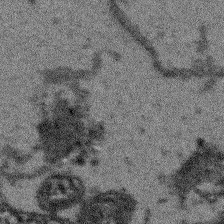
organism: Arabidopsis thaliana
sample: Root tip